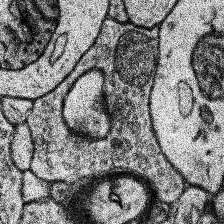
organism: Human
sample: Temporal Lobe